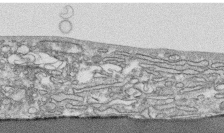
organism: Human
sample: CRL-1474